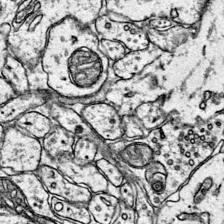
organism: Mouse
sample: Primary visual cortex